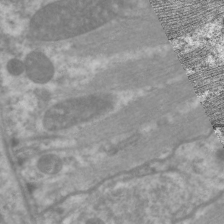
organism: C. elegans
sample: Pharynx